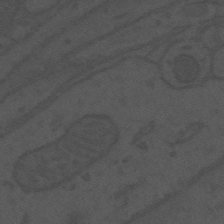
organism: Mouse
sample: Suprachiasmatic nucleus